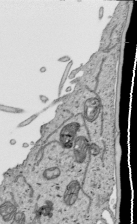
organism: Human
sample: Mitochondria in HCT116 cells